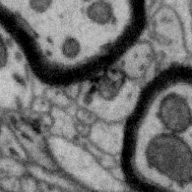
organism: Zebra finch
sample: Brain